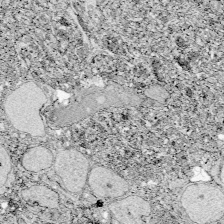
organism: Zebrafish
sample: Whole-Brain